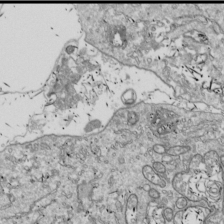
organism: Drosophila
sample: Cell division; meiosis; drosophila spermatocytes